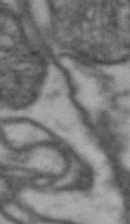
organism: Drosophila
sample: Brain